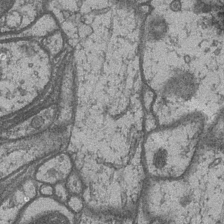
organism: Drosophila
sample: Optic medulla